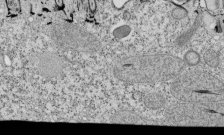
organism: Tetrahymena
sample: Cilia in tetrahymena